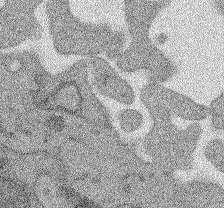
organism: Human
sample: HeLa cells